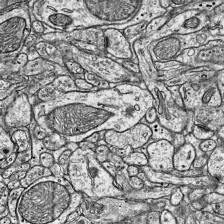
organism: Mouse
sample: Visual Cortex